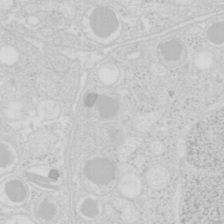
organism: Mouse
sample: Pancreas